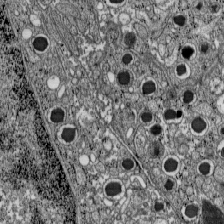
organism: C57BL Mouse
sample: Pancreatic islet